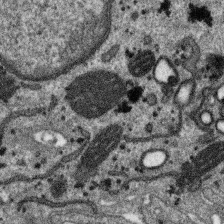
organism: Human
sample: Lung epithelial cells infected with SARS-CoV-2